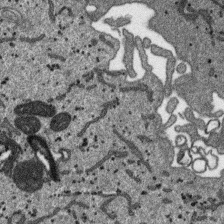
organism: Human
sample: Lung epithelial cells infected with SARS-CoV-2